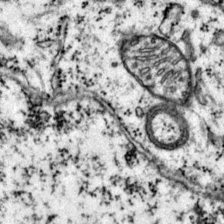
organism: Mouse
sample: Primary visual cortex